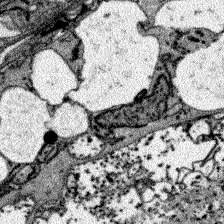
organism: Zebrafish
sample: Larval olfactory bulb